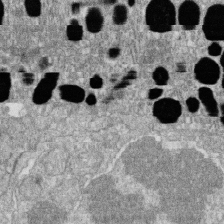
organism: Zebrafish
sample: Cilia; retinal pigment epithelium